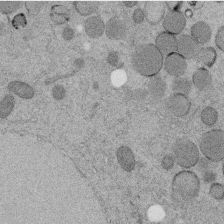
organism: C. elegans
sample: C. elegans embryo early stage